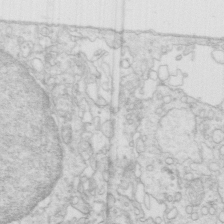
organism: Mouse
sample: Multiciliated cells